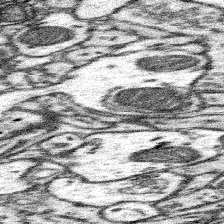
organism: Mouse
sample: Somatosensory cortex neuropil